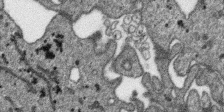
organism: Human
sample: Lung epithelial cells infected with SARS-CoV-2